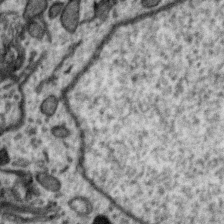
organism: Zebra finch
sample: Brain